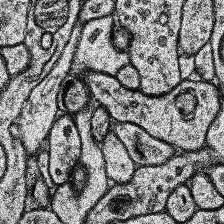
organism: Human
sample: Temporal Lobe